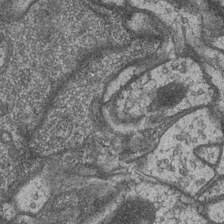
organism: Drosophila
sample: Optic medulla